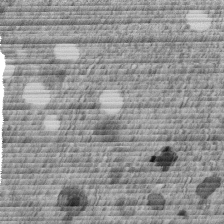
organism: C. elegans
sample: C. elegans embryo early stage